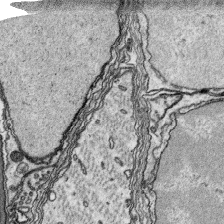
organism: Platynereis dumerilii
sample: Parapodia